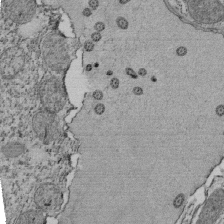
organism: Tetrahymena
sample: Cilia in tetrahymena